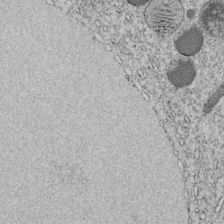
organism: C. elegans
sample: C. elegans embryo early stage